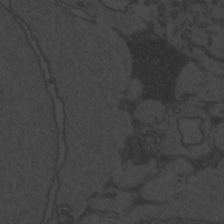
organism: Zebrafish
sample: Macrophage infected with Toxoplasma gondii